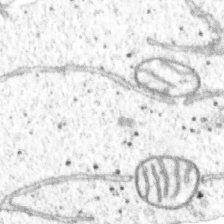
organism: Human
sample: HeLa cells